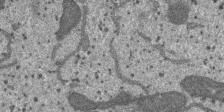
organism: Human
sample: Lung epithelial cells infected with SARS-CoV-2